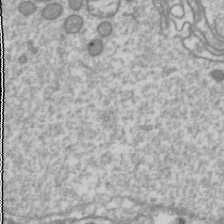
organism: Drosophila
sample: Cell division; meiosis; drosophila spermatocytes